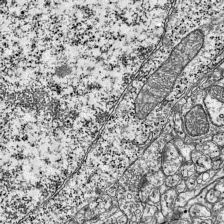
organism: Mouse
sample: Visual Cortex